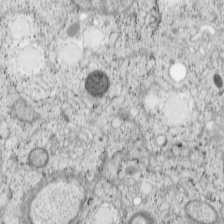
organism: African green monkey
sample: COS-7 cells